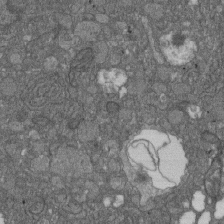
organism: Drosophila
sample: Nephrocyte